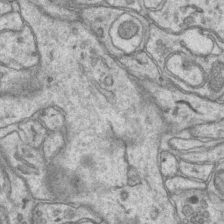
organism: Mouse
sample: CA1 Hippocampus